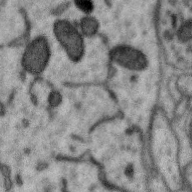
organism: Zebra finch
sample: Brain